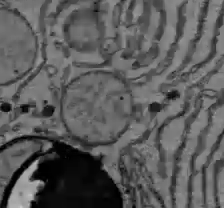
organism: C57BL Mouse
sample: Liver